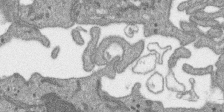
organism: Human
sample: Lung epithelial cells infected with SARS-CoV-2